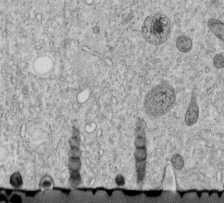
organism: C. elegans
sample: C. elegans embryo early stage